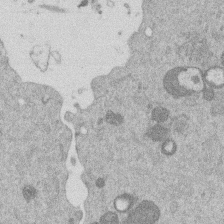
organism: Mouse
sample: Dividing mouse embryo 1 cell stage